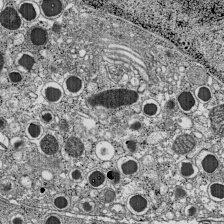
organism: C57BL Mouse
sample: Pancreatic islet